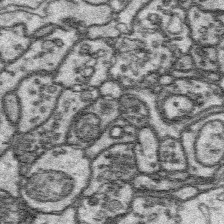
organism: Platynereis dumerilii